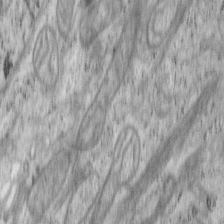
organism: Human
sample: HeLa cells